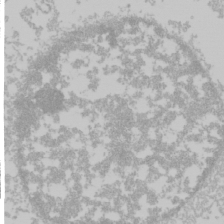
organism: Mouse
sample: Cancer cell death in ED-1 cells